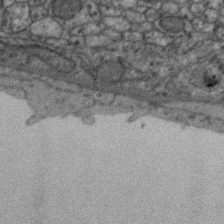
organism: Zebra finch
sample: Brain